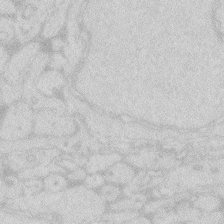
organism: Zebrafish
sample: Macrophage